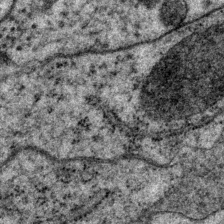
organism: P. pacificus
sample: Pharynx